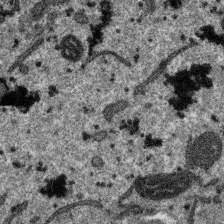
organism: Human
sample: Lung epithelial cells infected with SARS-CoV-2